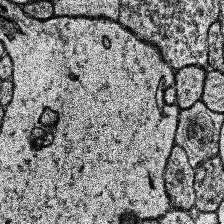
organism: Human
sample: Temporal Lobe